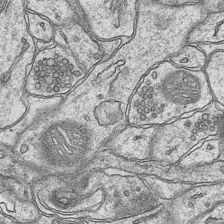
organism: Mouse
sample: CA1 Hippocampus